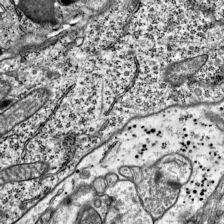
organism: Mouse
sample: Visual Cortex